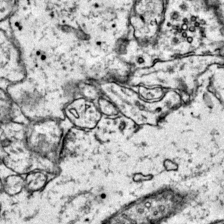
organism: Mouse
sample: Primary visual cortex